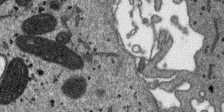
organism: Human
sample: Lung epithelial cells infected with SARS-CoV-2